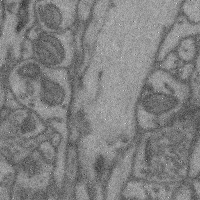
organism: Mouse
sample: Cerebral cortex